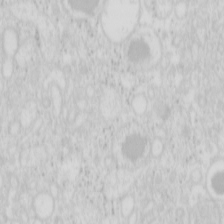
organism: Mouse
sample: Pancreas